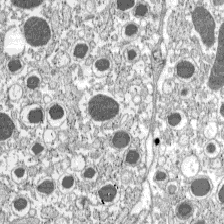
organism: C57BL Mouse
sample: Pancreatic islet